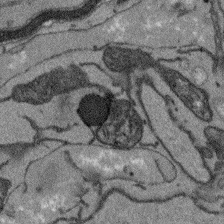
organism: Arabidopsis thaliana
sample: Root tip